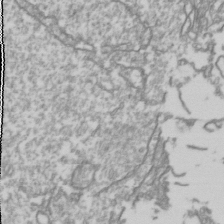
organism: Drosophila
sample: Cell division; meiosis; drosophila spermatocytes